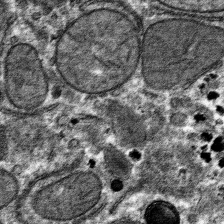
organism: Mouse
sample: Mouse hepatocytes